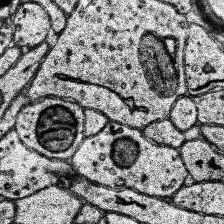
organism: Human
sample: Temporal Lobe